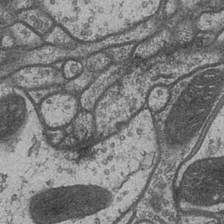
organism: Drosophila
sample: Optic medulla